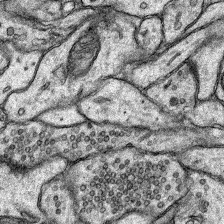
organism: Rat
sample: Hippocampus